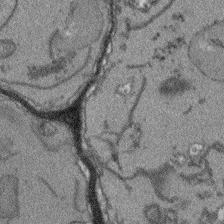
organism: Arabidopsis thaliana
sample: Root tip